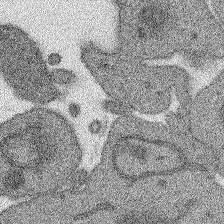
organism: Human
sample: HeLa cells